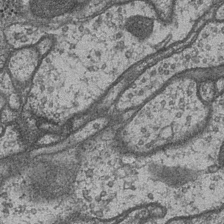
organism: Drosophila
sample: Optic medulla